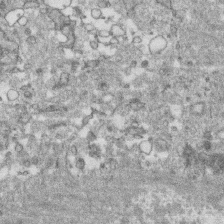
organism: Human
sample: CRL-1474